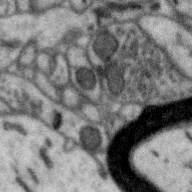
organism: Zebra finch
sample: Brain